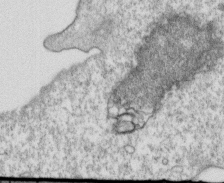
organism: Mouse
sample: Activated OT-1 CD8+ T cells